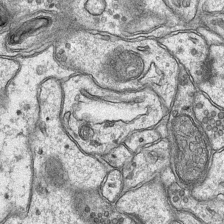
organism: Mouse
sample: CA1 Hippocampus